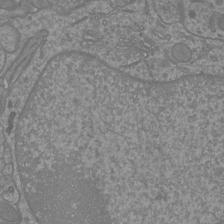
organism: Mouse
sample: Cortical neurons